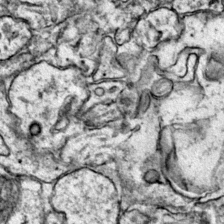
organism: Mouse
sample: Primary visual cortex